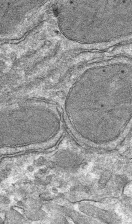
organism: Mouse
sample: Mouse hepatocytes